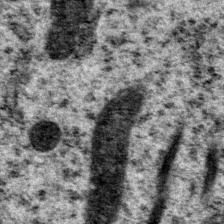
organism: P. pacificus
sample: Pharynx